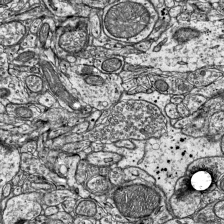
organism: Mouse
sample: Visual Cortex